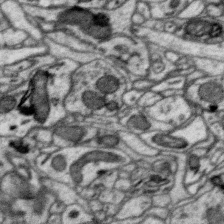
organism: Zebra finch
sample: Brain